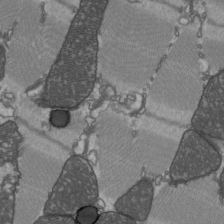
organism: C57BL Mouse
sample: Heart